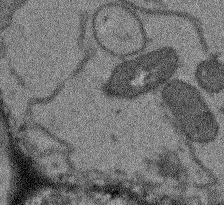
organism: Arabidopsis thaliana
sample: Root tip